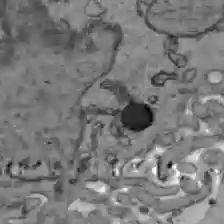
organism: C57BL Mouse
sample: Liver